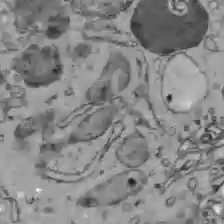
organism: C57BL Mouse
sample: Liver